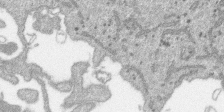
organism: Human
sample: Lung epithelial cells infected with SARS-CoV-2